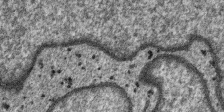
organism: Human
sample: Lung epithelial cells infected with SARS-CoV-2